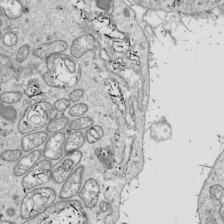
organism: Drosophila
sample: Cell division; meiosis; drosophila spermatocytes